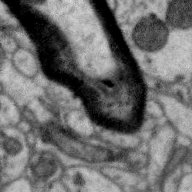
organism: Zebra finch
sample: Brain